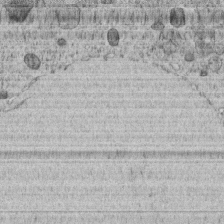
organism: C. elegans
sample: C. elegans embryo early stage